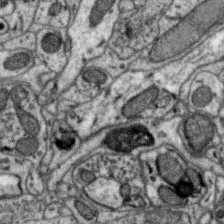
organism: Zebra finch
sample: Brain